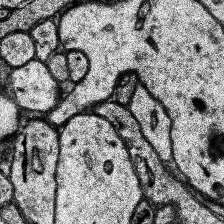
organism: Human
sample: Temporal Lobe